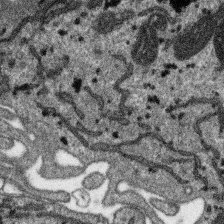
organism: Human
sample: Lung epithelial cells infected with SARS-CoV-2